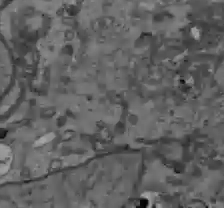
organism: C57BL Mouse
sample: Liver